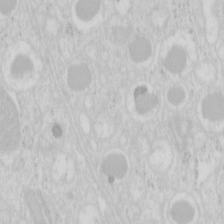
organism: Mouse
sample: Pancreas